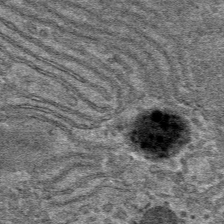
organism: Mouse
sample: Mouse hepatocytes